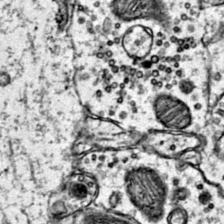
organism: Mouse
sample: Primary visual cortex